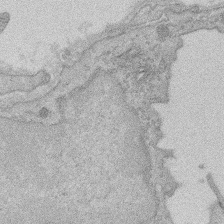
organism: Rat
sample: Salivary granule